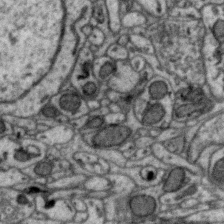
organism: Zebra finch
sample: Brain